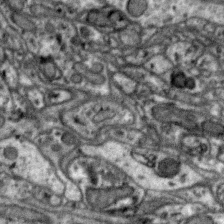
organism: Zebra finch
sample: Brain